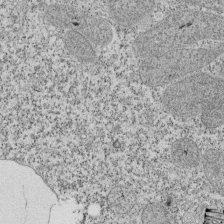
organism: Tetrahymena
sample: Cilia in tetrahymena